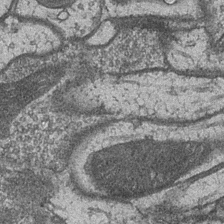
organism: Drosophila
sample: Optic medulla